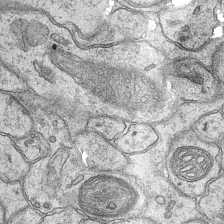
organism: Mouse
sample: CA1 Hippocampus